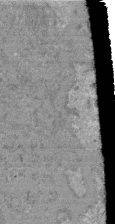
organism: Mouse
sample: Glomerulus